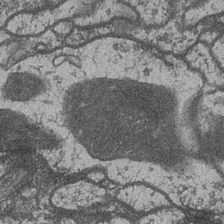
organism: Drosophila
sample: Optic medulla